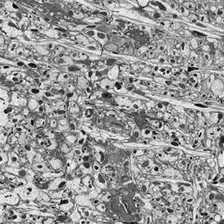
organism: Drosophila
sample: Optic lobe